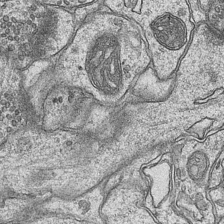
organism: Mouse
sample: CA1 Hippocampus